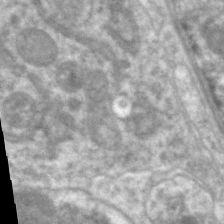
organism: C. elegans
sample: Pharynx